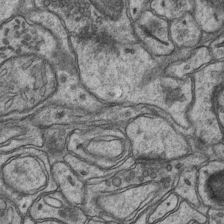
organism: Mouse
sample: CA1 Hippocampus